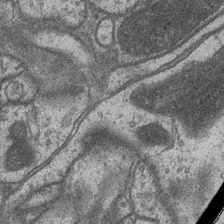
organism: Drosophila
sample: Optic medulla